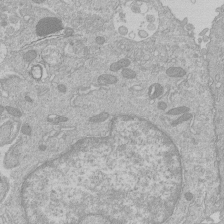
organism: Human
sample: Macrophage cells